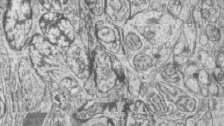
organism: Zebrafish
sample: synaptic ribbons in rod cells and cone cells